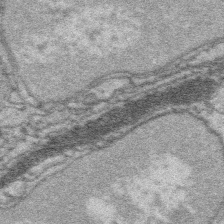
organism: Platynereis dumerilii